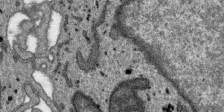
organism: Human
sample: Lung epithelial cells, uninfected (mock) control